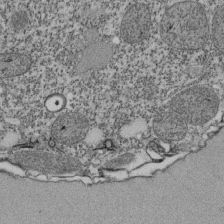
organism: Tetrahymena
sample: Cilia in tetrahymena